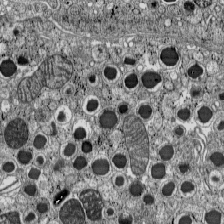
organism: C57BL Mouse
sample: Pancreatic islet